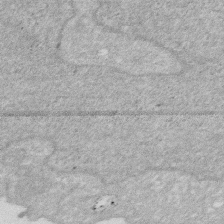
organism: Human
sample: HIV infected U937 cells